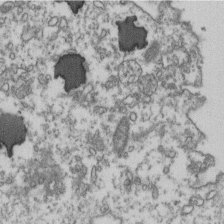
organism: Human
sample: Activated Jurkat CD4+ T cells